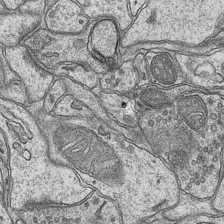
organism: Mouse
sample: CA1 Hippocampus